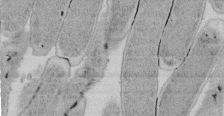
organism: E. coli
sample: Bacterial nucleoid